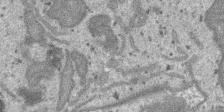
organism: Human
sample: Lung epithelial cells infected with SARS-CoV-2